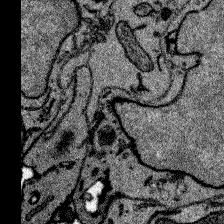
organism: Zebrafish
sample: Larval olfactory bulb